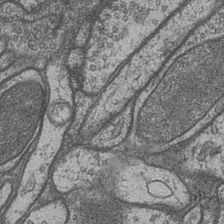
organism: Drosophila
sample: Optic medulla